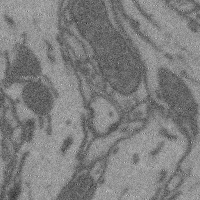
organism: Mouse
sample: Cerebral cortex